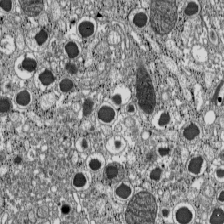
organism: C57BL Mouse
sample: Pancreatic islet